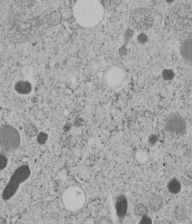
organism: C. elegans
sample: C. elegans embryo early stage